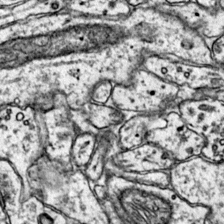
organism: Mouse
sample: Primary visual cortex